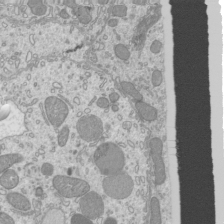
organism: Mouse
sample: Cilia; mouse epididymis